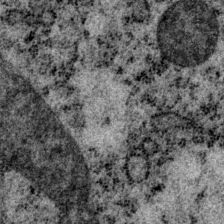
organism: P. pacificus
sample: Pharynx